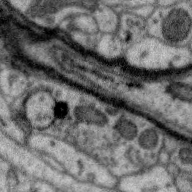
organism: Zebra finch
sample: Brain